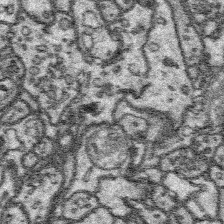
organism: Platynereis dumerilii